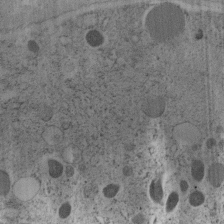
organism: C. elegans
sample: C. elegans embryo early stage